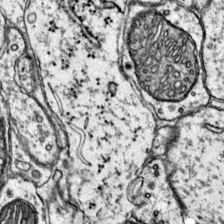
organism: Mouse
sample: Primary visual cortex